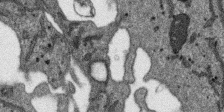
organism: Human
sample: Lung epithelial cells infected with SARS-CoV-2